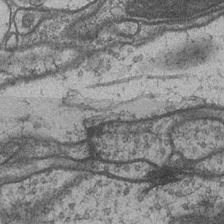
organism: Drosophila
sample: Optic medulla